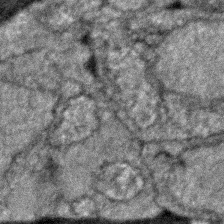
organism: Zebrafish